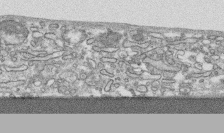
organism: Human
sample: CRL-1474